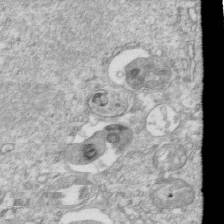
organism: Mouse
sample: Activated OT-1 CD8+ T cells